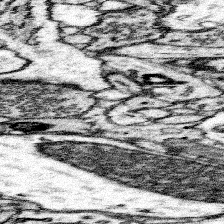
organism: Mouse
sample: Somatosensory cortex neuropil